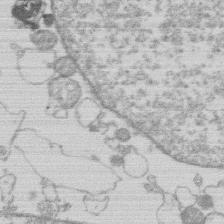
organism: Human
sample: Macrophage cells